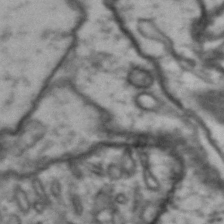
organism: Drosophila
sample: Brain